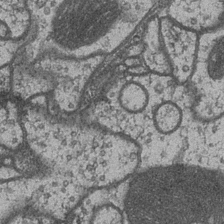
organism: Drosophila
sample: Optic medulla